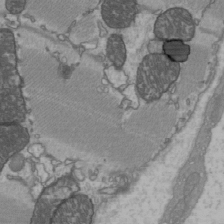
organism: C57BL Mouse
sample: Heart